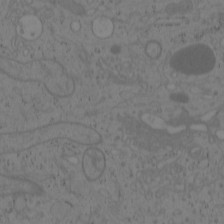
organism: Human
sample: HeLa cells